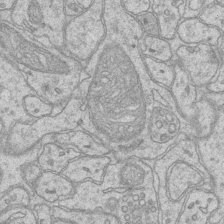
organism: Mouse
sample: CA1 Hippocampus